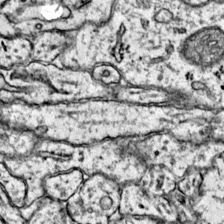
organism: Mouse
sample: Primary visual cortex